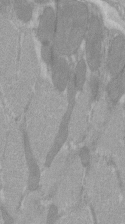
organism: C57BL Mouse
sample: Tibialis anterior muscle cell